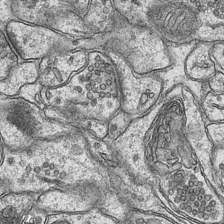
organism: Mouse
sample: CA1 Hippocampus